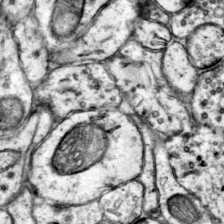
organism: Mouse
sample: Primary visual cortex